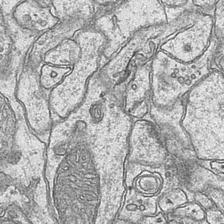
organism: Mouse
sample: CA1 Hippocampus